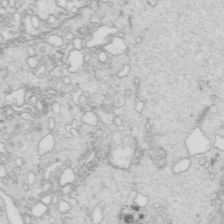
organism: Mouse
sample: Multiciliated cells